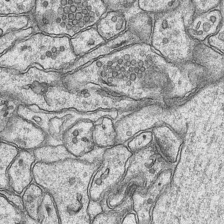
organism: Mouse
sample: CA1 Hippocampus